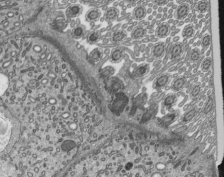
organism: Mouse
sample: Mouse epididymis efferent ductule cilia